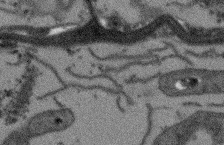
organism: Arabidopsis thaliana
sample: Root tip